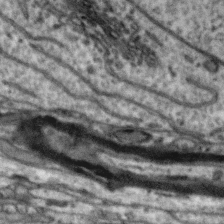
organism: Zebra finch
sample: Brain